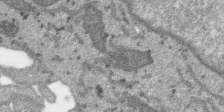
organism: Human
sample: Lung epithelial cells infected with SARS-CoV-2